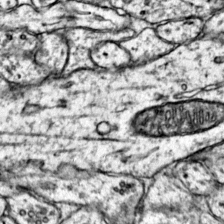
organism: Mouse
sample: Primary visual cortex